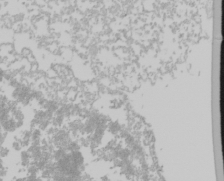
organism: Mouse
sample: Cancer cell death in ED-1 cells